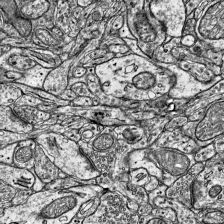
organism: Mouse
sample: Visual Cortex